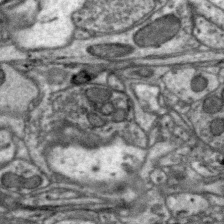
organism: Zebra finch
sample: Brain